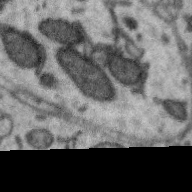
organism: Zebra finch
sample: Brain